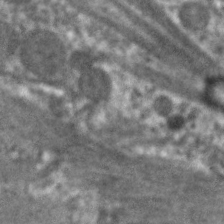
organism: C. elegans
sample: Pharynx